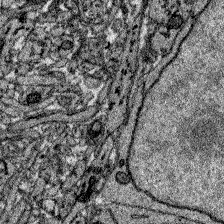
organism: Zebrafish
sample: Larval olfactory bulb